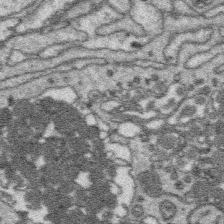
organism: Platynereis dumerilii